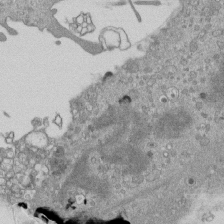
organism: Mouse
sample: ED-1 cell nuclei; centrioles